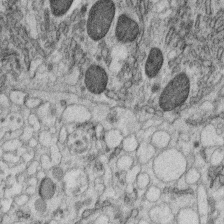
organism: C. elegans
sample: C. elegans oocyte; sperm cells